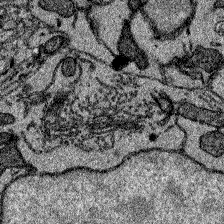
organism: Zebrafish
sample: Larval olfactory bulb